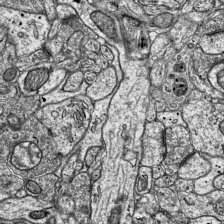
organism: Mouse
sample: Visual Cortex